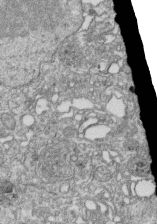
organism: Human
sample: HeLa cell HIV synapse